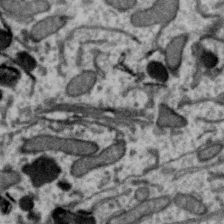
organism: Zebra finch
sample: Brain